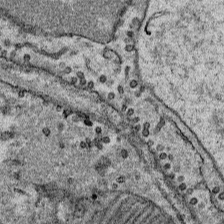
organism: Mouse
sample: Mouse Salivary gland